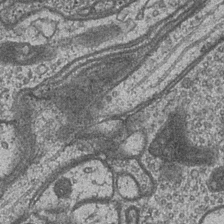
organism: Drosophila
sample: Optic medulla